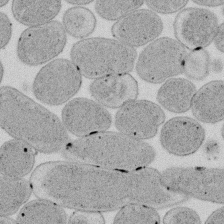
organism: E. coli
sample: Bacterial nucleoid